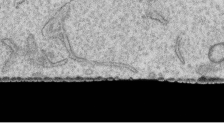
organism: Human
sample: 1205lu cells